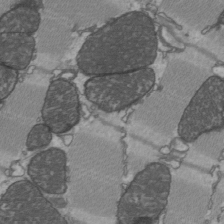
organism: C57BL Mouse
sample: Heart